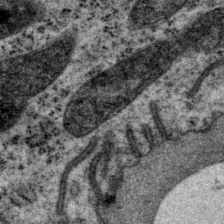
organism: P. pacificus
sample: Pharynx